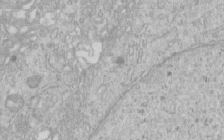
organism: Human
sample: Centriole in RPE cells